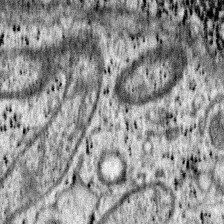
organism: Human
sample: HeLa cells